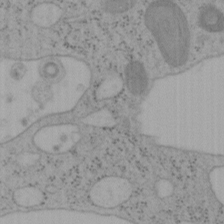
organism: Mouse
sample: OT-I killer T cells with ID8 ovarian cancer cells